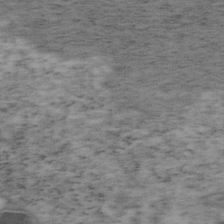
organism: Mouse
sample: OT-I killer T cells with ID8 ovarian cancer cells